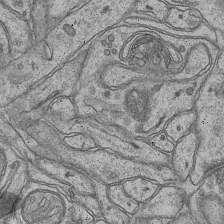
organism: Mouse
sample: CA1 Hippocampus